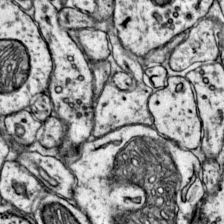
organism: Mouse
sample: Primary visual cortex